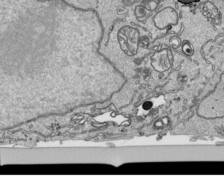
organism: Human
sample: Mitochondria in HCT116 cells